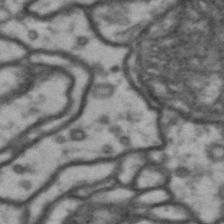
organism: Drosophila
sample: Brain